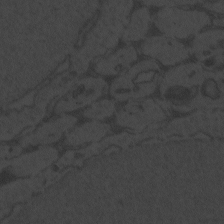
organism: Zebrafish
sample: Macrophage infected with Toxoplasma gondii